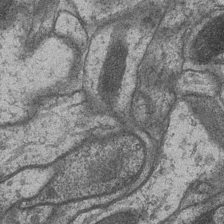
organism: Drosophila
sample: Optic medulla